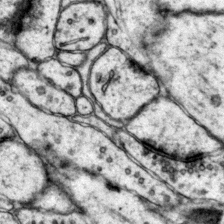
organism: Mouse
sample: Primary visual cortex